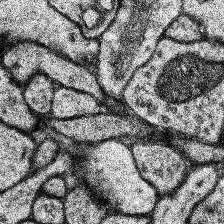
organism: Human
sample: Temporal Lobe